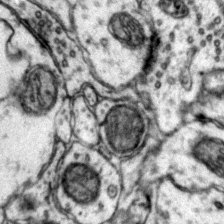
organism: Mouse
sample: Primary visual cortex